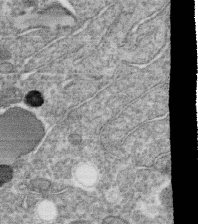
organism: C. elegans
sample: C. elegans oocyte; sperm cells